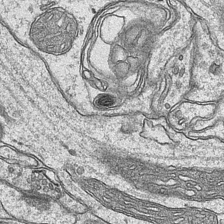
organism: Mouse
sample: CA1 Hippocampus